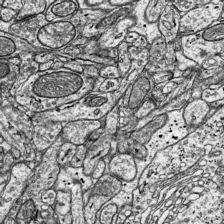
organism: Mouse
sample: Visual Cortex